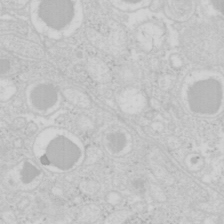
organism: Mouse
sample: Pancreas